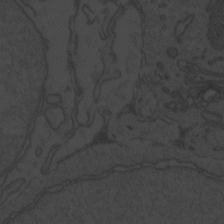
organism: Zebrafish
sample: Macrophage infected with Toxoplasma gondii